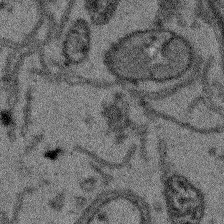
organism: Arabidopsis thaliana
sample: Root tip